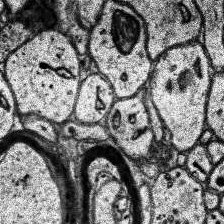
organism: Human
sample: Temporal Lobe